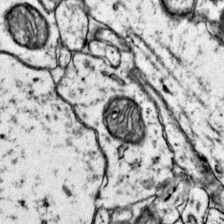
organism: Mouse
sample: Primary visual cortex